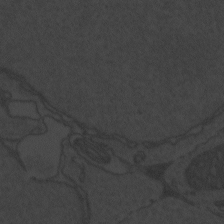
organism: Zebrafish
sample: Macrophage infected with Toxoplasma gondii